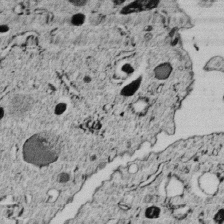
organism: C. elegans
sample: C. elegans embryo early stage